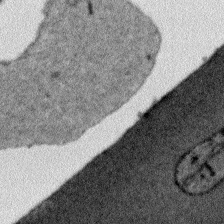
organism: Plasmodium falciparum